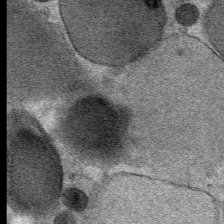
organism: Mouse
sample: Mouse Salivary gland